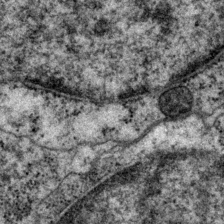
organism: P. pacificus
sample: Pharynx